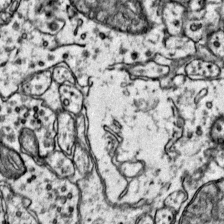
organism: Mouse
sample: Primary visual cortex